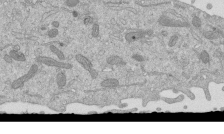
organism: Mouse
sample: ED-1 cell nuclei; centrioles